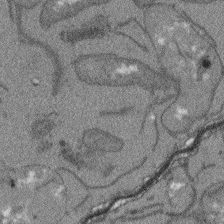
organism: Arabidopsis thaliana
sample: Root tip